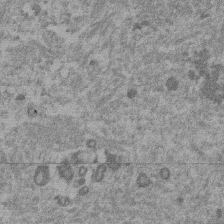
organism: Mouse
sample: Dividing mouse embryo 1 cell stage